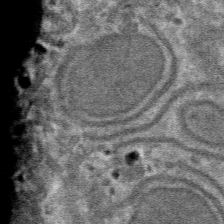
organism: Mouse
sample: Mouse hepatocytes